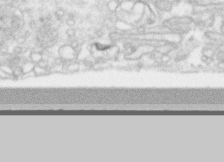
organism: Human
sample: CRL-1474